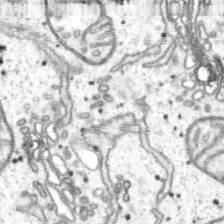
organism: Human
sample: HeLa cells